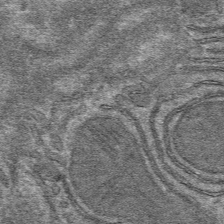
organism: Mouse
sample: Mouse hepatocytes